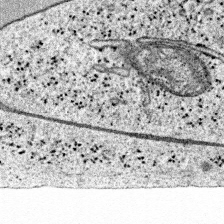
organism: Human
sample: HeLa cells